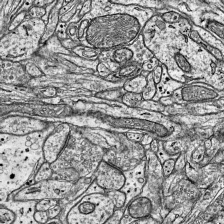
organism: Mouse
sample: Visual Cortex